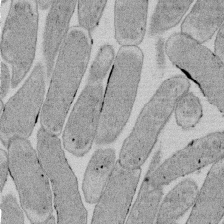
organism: E. coli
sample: Bacterial nucleoid